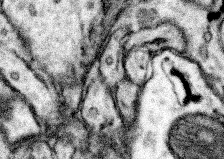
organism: Mouse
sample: Somatosensory cortex neuropil